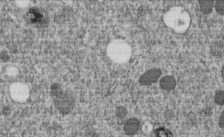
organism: C. elegans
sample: C. elegans embryo early stage